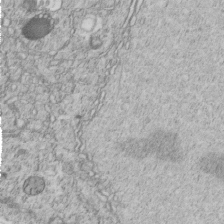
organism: C. elegans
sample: C. elegans embryo early stage